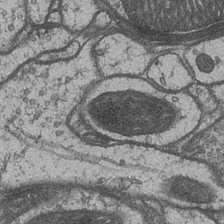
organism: Drosophila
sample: Optic medulla